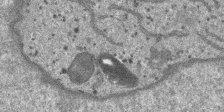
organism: Human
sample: Lung epithelial cells infected with SARS-CoV-2